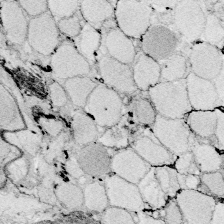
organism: Zebrafish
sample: Whole-Brain